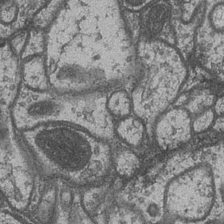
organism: Drosophila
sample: Optic medulla